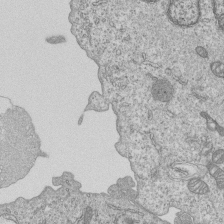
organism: Human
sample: MDA-MB-231 cells